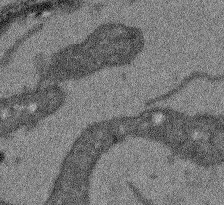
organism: Arabidopsis thaliana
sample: Root tip